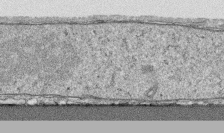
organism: Human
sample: CRL-1474